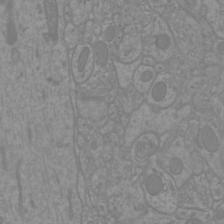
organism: Mouse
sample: Cortical neurons